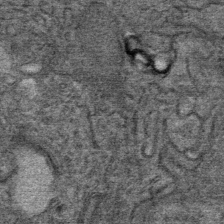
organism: Mouse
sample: Mouse Salivary gland